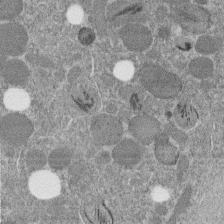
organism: C. elegans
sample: C. elegans embryo early stage